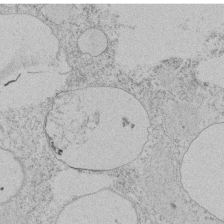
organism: Tetrahymena